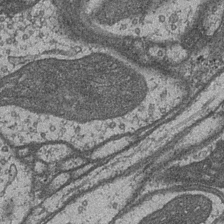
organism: Drosophila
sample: Optic medulla